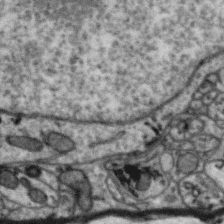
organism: Zebra finch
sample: Brain